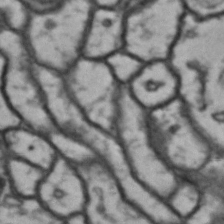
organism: Drosophila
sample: Brain